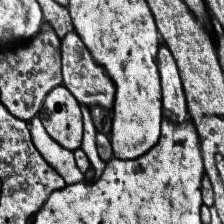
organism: Human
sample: Temporal Lobe